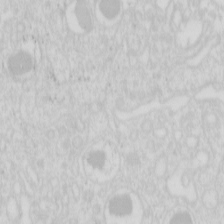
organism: Mouse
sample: Pancreas